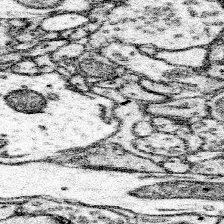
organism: Mouse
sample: Somatosensory cortex neuropil